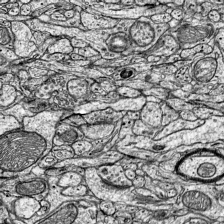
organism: Mouse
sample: Visual Cortex